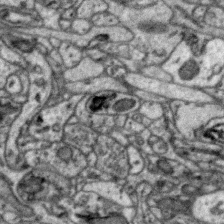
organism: Zebra finch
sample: Brain